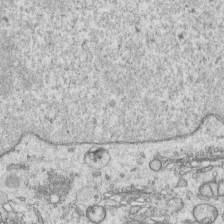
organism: Human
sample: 1205lu cells